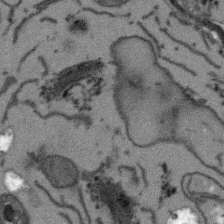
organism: Arabidopsis thaliana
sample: Root tip